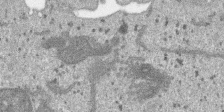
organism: Human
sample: Lung epithelial cells infected with SARS-CoV-2